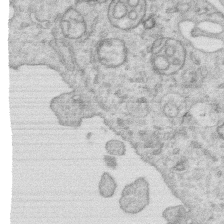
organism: Human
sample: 1205lu cells